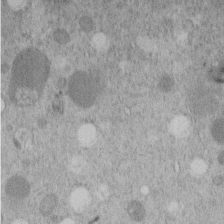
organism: C. elegans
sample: C. elegans embryo early stage